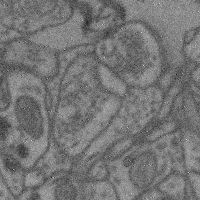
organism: Mouse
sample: Cerebral cortex